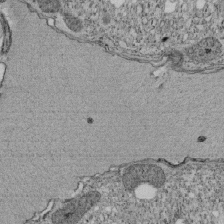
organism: Tetrahymena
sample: Cilia in tetrahymena